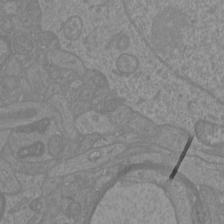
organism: Mouse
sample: Cortical neurons